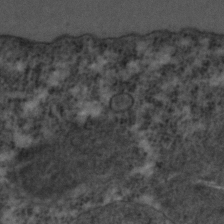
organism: C. elegans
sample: C. elegans embryo